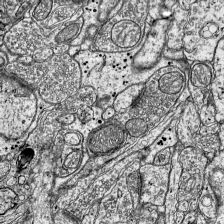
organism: Mouse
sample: Visual Cortex